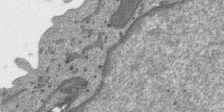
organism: Human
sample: Lung epithelial cells infected with SARS-CoV-2